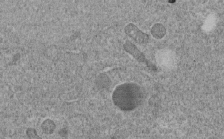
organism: C. elegans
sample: C. elegans embryo early stage